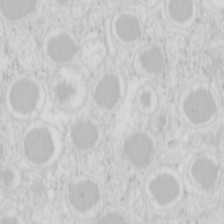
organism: Mouse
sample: Pancreas